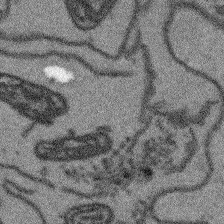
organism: Arabidopsis thaliana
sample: Root tip